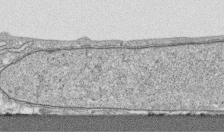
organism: Human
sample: CRL-1474